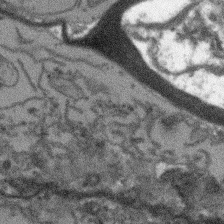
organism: Arabidopsis thaliana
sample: Root tip